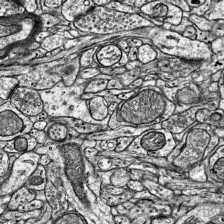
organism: Mouse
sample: Visual Cortex